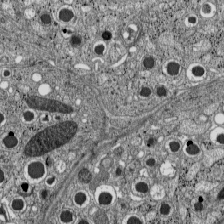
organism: C57BL Mouse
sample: Pancreatic islet